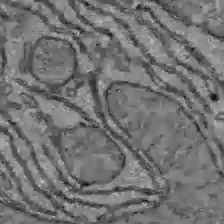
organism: C57BL Mouse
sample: Liver